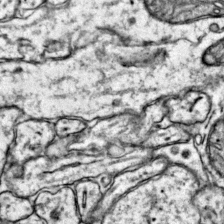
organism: Mouse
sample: Primary visual cortex